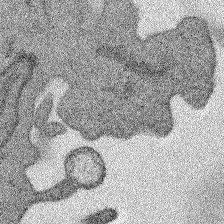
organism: Human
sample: HeLa cells